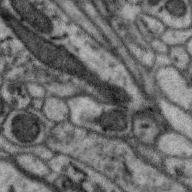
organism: Zebra finch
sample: Brain